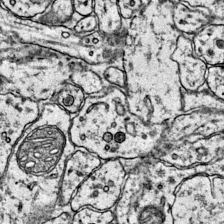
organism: Mouse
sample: Primary visual cortex